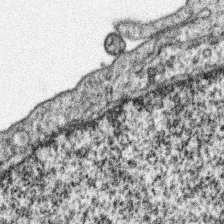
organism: Human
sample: HeLa cells